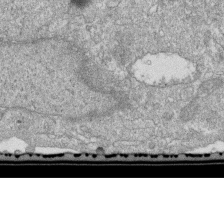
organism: Human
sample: HeLa cell HIV synapse